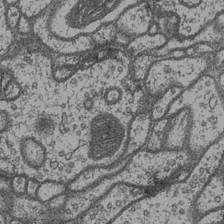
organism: Drosophila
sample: Optic medulla